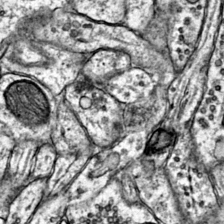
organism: Mouse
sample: Primary visual cortex